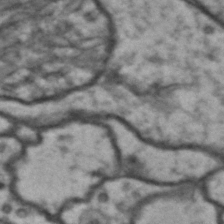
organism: Drosophila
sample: Brain